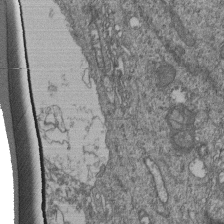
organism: Human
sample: Retinal organoid Rod and Cone cells